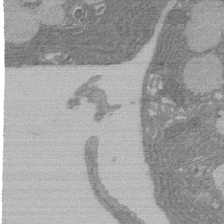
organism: Rat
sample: Salivary granule